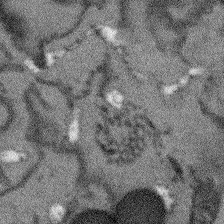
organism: Arabidopsis thaliana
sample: Root tip